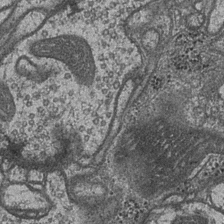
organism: Drosophila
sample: Optic medulla